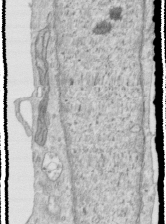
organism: Human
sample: Centriole in RPE cells